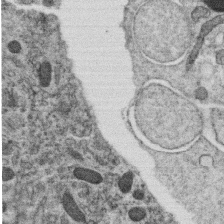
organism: C. elegans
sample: C. elegans oocyte; sperm cells